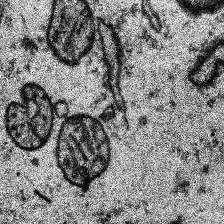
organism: Human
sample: Temporal Lobe